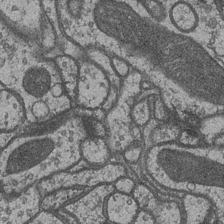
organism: Drosophila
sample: Optic medulla